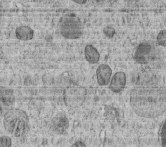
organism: C. elegans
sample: C. elegans embryo early stage